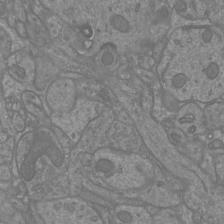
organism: Mouse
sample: Cortical neurons